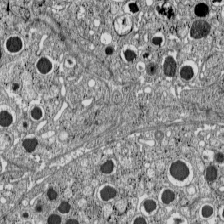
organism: C57BL Mouse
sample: Pancreatic islet